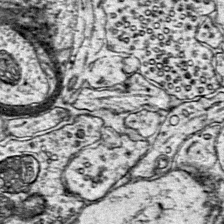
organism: Mouse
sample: Primary visual cortex